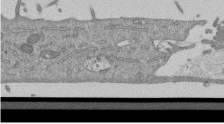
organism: Mouse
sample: ED-1 cell nuclei; centrioles